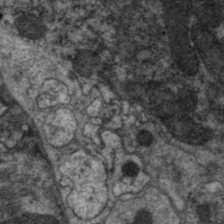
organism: C. elegans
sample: Pharynx